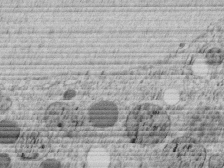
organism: C. elegans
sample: C. elegans embryo early stage